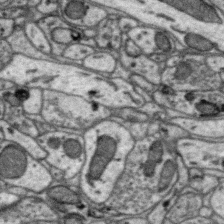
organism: Zebra finch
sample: Brain